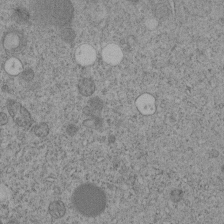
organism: C. elegans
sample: C. elegans embryo early stage